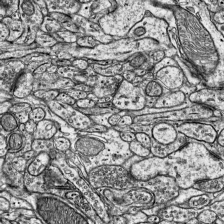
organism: Mouse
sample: Visual Cortex